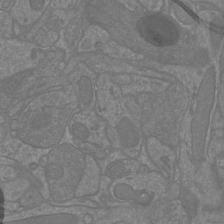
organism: Mouse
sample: Cortical neurons